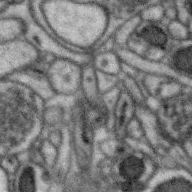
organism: Zebra finch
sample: Brain